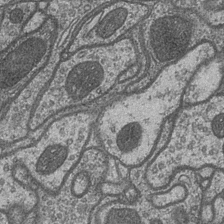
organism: Drosophila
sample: Optic medulla